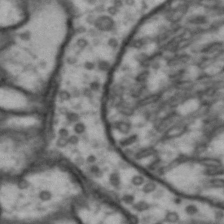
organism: Drosophila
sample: Brain